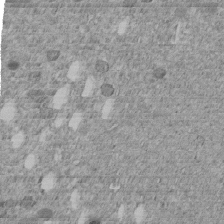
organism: C. elegans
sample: C. elegans embryo early stage